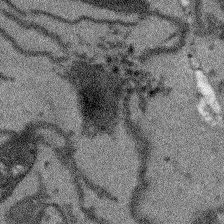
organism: Arabidopsis thaliana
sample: Root tip